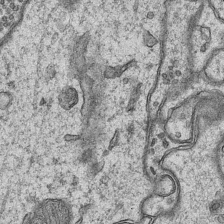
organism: Mouse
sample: CA1 Hippocampus